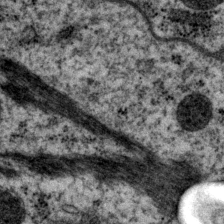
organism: P. pacificus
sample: Pharynx